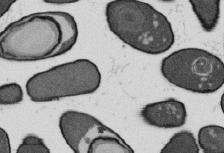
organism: B. subtilis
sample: Bacterial spore